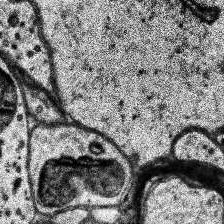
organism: Human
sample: Temporal Lobe